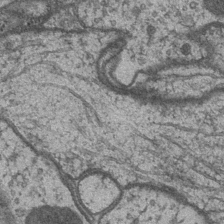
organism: Drosophila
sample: Optic medulla